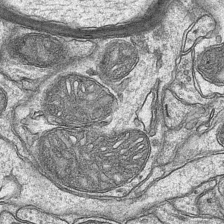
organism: Mouse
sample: CA1 Hippocampus